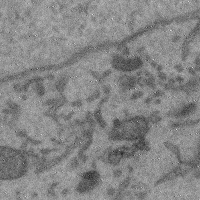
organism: Mouse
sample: Cerebral cortex